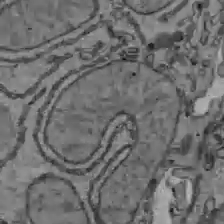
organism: C57BL Mouse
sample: Liver